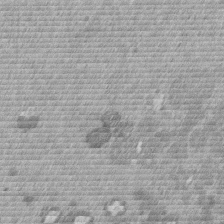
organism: Mouse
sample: Dividing mouse embryo 1 cell stage